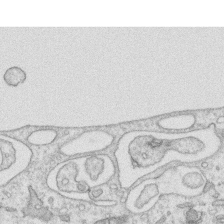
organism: Human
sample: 1205lu cells